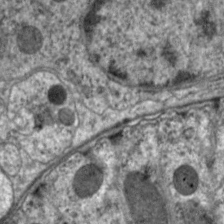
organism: C. elegans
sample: Pharynx